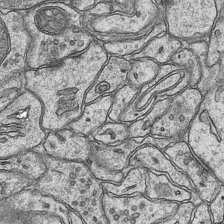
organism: Mouse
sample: CA1 Hippocampus